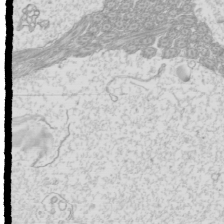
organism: Mouse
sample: Cilia; mouse epididymis